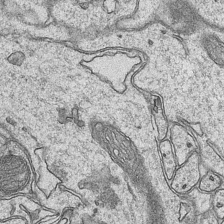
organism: Mouse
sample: CA1 Hippocampus